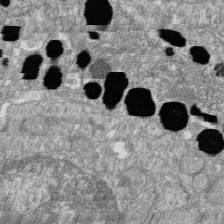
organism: Zebrafish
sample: Cilia; retinal pigment epithelium